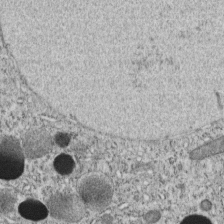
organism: C. elegans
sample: C. elegans embryo early stage